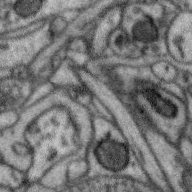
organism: Zebra finch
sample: Brain